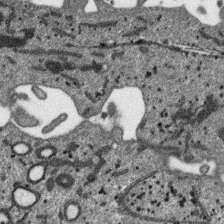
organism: Human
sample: Lung epithelial cells infected with SARS-CoV-2